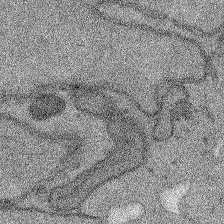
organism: Human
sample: HeLa cells